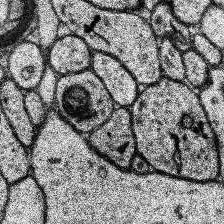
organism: Human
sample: Temporal Lobe